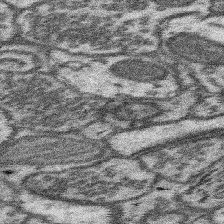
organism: Mouse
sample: Somatosensory cortex neuropil